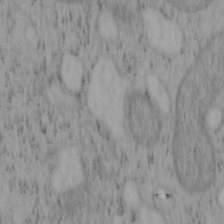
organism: Mouse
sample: OT-I killer T cells with ID8 ovarian cancer cells